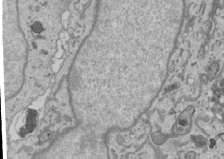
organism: Human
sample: Mitochondria in U2OS cells